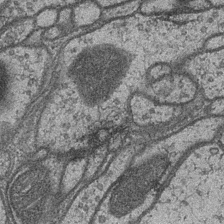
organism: Drosophila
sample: Optic medulla